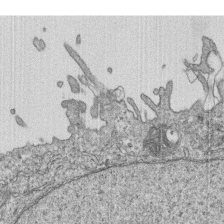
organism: Human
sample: HeLa cell HIV synapse